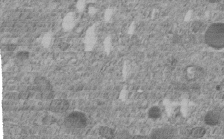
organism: C. elegans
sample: C. elegans embryo early stage